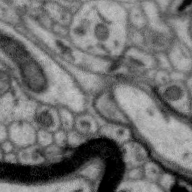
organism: Zebra finch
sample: Brain